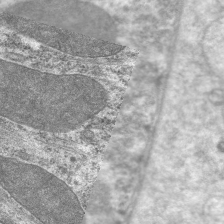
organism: C. elegans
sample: Pharynx